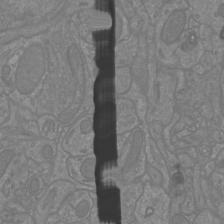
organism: Mouse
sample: Cortical neurons